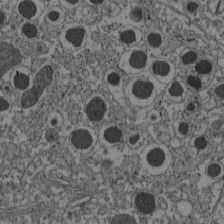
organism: C57BL Mouse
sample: Pancreatic islet